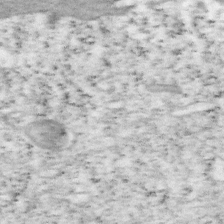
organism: Mouse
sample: OT-I killer T cells with ID8 ovarian cancer cells